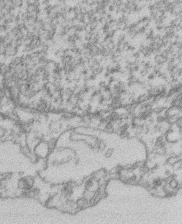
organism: Mouse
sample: T cell stromal cell synapse